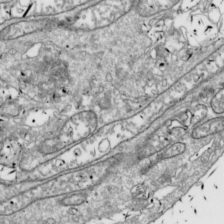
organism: Drosophila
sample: Cell division; meiosis; drosophila spermatocytes